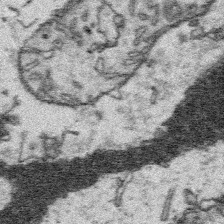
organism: Platynereis dumerilii